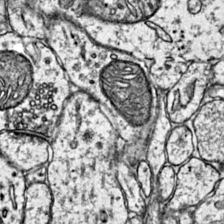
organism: Mouse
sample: Primary visual cortex